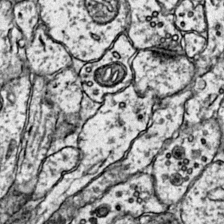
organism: Mouse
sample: Primary visual cortex